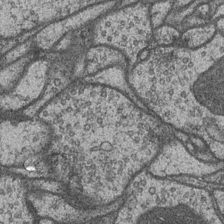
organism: Drosophila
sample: Optic medulla